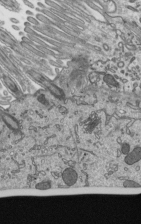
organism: Mouse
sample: Mouse epididymis efferent ductule cilia